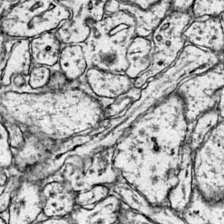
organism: Mouse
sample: Primary visual cortex